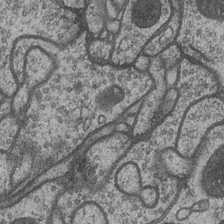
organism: Drosophila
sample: Optic medulla